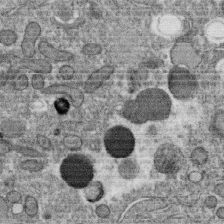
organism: C. elegans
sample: C. elegans oocyte; sperm cells